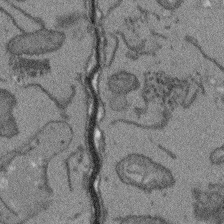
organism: Arabidopsis thaliana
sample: Root tip